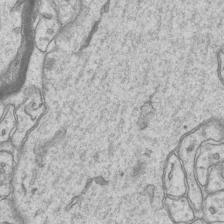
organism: Mouse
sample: CA1 Hippocampus